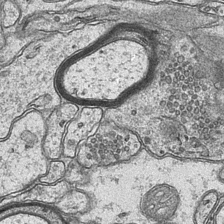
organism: Mouse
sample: CA1 Hippocampus